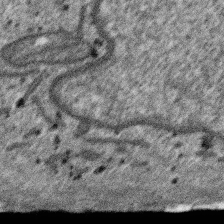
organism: Human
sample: Lung epithelial cells infected with SARS-CoV-2